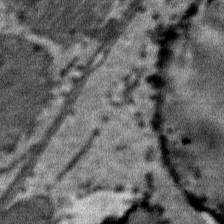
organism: Mouse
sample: Mouse Salivary gland